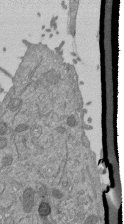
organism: Mouse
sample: ED-1 cell nuclei; centrioles